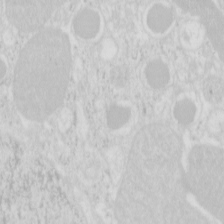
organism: Mouse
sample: Pancreas